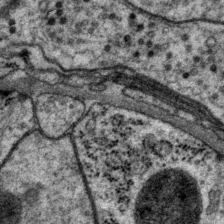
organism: P. pacificus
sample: Pharynx